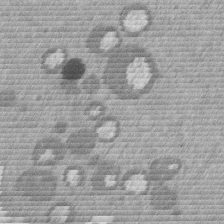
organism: Mouse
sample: Dividing mouse embryo 1 cell stage